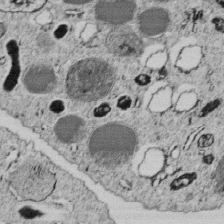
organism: C. elegans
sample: C. elegans embryo early stage